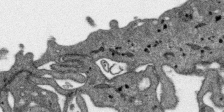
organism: Human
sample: Lung epithelial cells, uninfected (mock) control